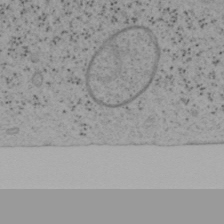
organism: Human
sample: HeLa cells